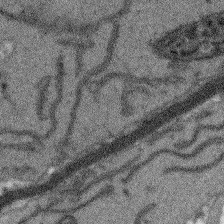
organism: Arabidopsis thaliana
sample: Root tip